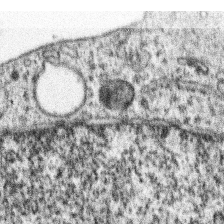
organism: Human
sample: HeLa cells